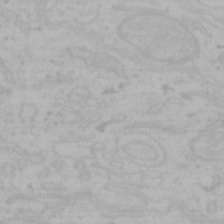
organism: Mouse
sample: Choroid plexus